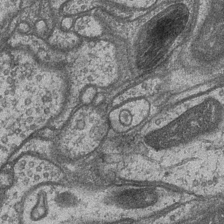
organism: Drosophila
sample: Optic medulla